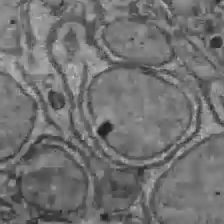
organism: C57BL Mouse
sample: Liver